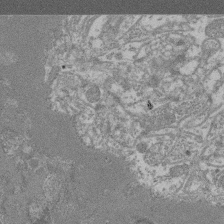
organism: Mouse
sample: Glomerulus